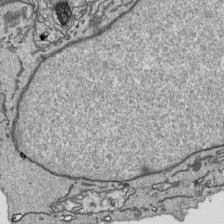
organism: Human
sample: Mitochondria in HCT116 cells